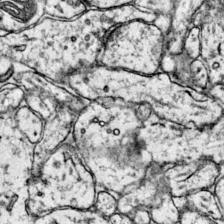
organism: Mouse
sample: Primary visual cortex